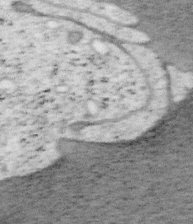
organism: Mouse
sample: OT-I killer T cells with ID8 ovarian cancer cells